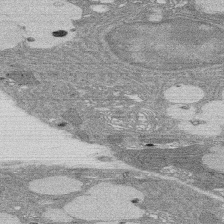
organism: Rat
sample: Salivary granule